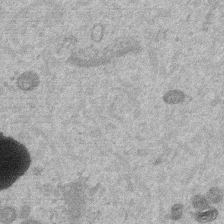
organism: Mouse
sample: Dividing mouse embryo 1 cell stage